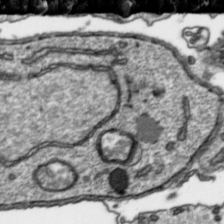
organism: Toxoplasma gondii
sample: Parasites in a vacuole inside a host cell